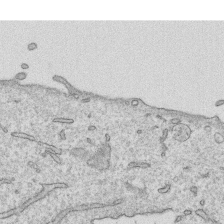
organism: Human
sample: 1205lu cells